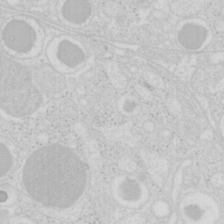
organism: Mouse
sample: Pancreas